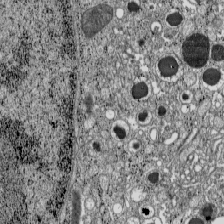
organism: C57BL Mouse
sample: Pancreatic islet